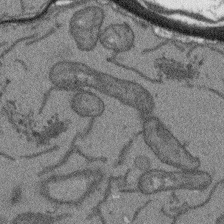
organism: Arabidopsis thaliana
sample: Root tip